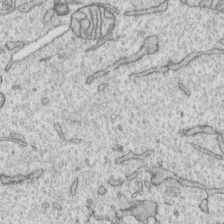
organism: Human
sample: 1205lu cells